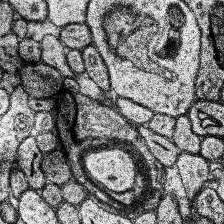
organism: Human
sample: Temporal Lobe